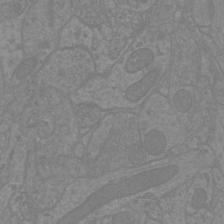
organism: Mouse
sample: Cortical neurons